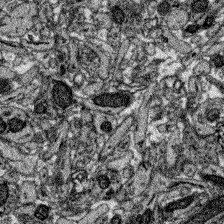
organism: Zebrafish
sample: Larval olfactory bulb